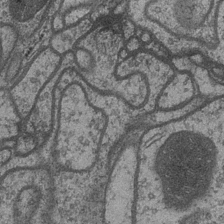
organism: Drosophila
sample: Optic medulla